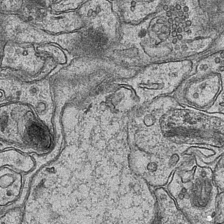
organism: Mouse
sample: CA1 Hippocampus